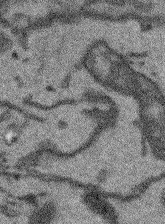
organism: Arabidopsis thaliana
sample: Root tip